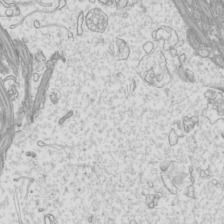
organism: Mouse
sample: Cilia; mouse epididymis